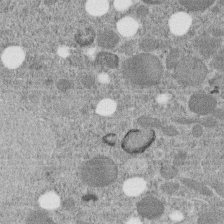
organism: C. elegans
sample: C. elegans embryo early stage